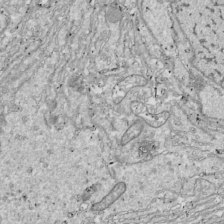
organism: Drosophila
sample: Cell division; meiosis; drosophila spermatocytes